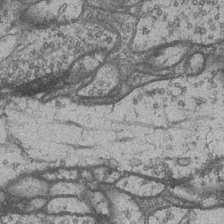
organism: Drosophila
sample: Optic medulla